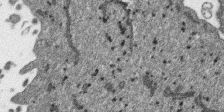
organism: Human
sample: Lung epithelial cells infected with SARS-CoV-2